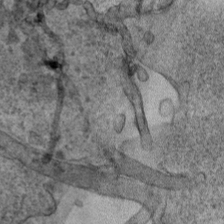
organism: Human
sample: Mitochondria in HCT116 cells